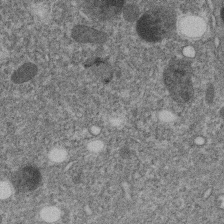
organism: C. elegans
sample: C. elegans embryo early stage